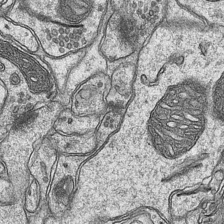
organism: Mouse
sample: CA1 Hippocampus